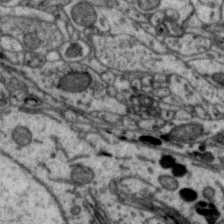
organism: Zebra finch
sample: Brain